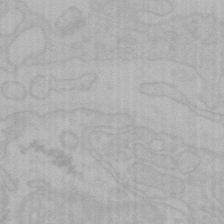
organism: Mouse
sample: Choroid plexus